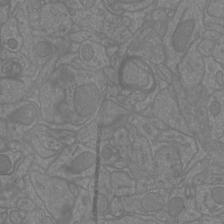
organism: Mouse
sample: Cortical neurons